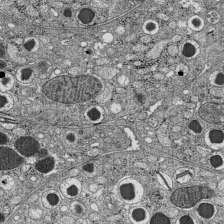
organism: C57BL Mouse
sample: Pancreatic islet